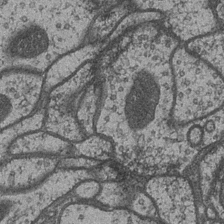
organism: Drosophila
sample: Optic medulla